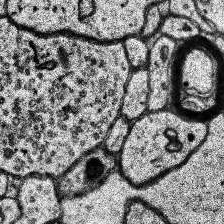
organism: Human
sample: Temporal Lobe